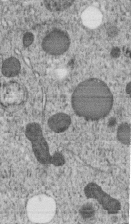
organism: C. elegans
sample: C. elegans embryo early stage